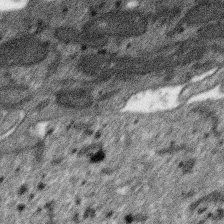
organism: Human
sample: Lung epithelial cells infected with SARS-CoV-2